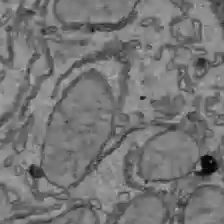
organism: C57BL Mouse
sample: Liver